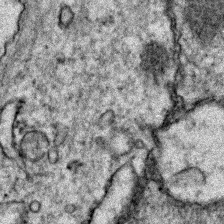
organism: Zebrafish